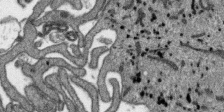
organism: Human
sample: Lung epithelial cells, uninfected (mock) control